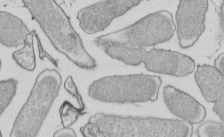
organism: E. coli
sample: Bacterial nucleoid